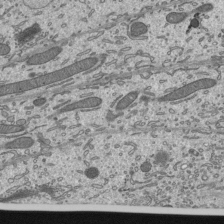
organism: Mouse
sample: Mouse epididymis efferent ductule cilia